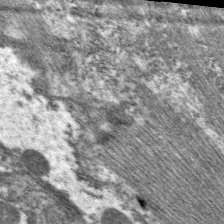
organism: C. elegans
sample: Pharynx